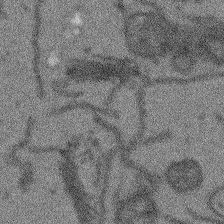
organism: Arabidopsis thaliana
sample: Root tip